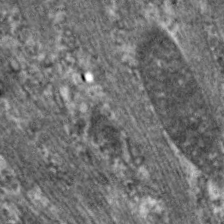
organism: C. elegans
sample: Pharynx